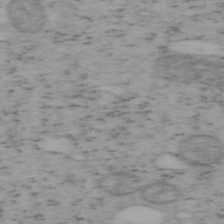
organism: Mouse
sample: OT-I killer T cells with ID8 ovarian cancer cells